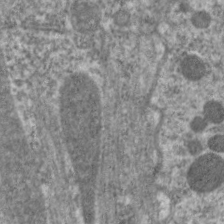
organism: C. elegans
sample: Pharynx